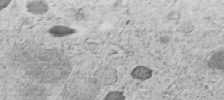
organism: C. elegans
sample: C. elegans embryo early stage